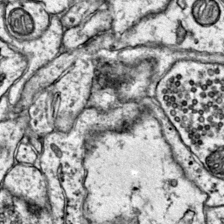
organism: Mouse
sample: Primary visual cortex